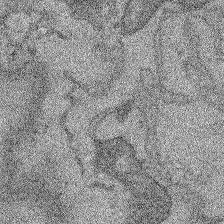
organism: Human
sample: HeLa cells